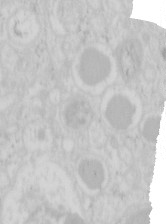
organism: Mouse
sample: Pancreas